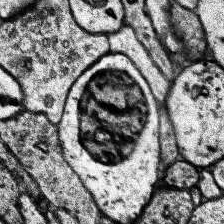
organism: Human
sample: Temporal Lobe